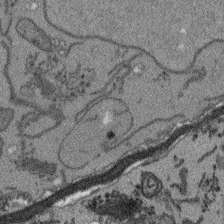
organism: Arabidopsis thaliana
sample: Root tip